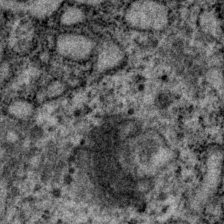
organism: P. pacificus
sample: Pharynx